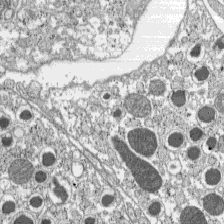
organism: C57BL Mouse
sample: Pancreatic islet